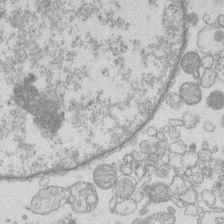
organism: Human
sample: Macrophage cells